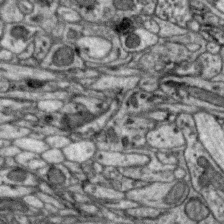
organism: Zebra finch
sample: Brain